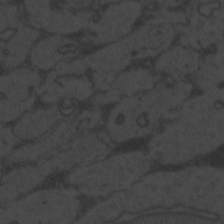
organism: Zebrafish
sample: Macrophage infected with Toxoplasma gondii